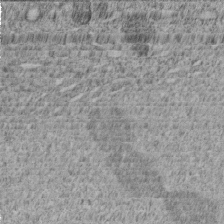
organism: C. elegans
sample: C. elegans embryo early stage